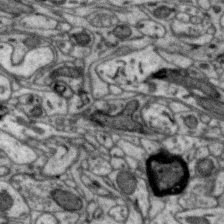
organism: Zebra finch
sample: Brain